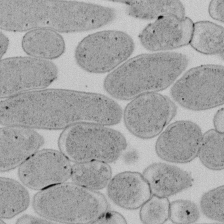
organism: E. coli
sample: Bacterial nucleoid